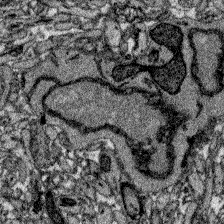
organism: Zebrafish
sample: Larval olfactory bulb